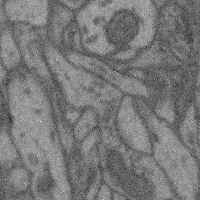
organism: Mouse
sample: Cerebral cortex